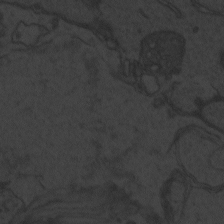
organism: Zebrafish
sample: Macrophage infected with Toxoplasma gondii